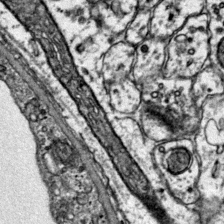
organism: Mouse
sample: Primary visual cortex